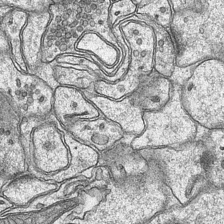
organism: Mouse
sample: CA1 Hippocampus